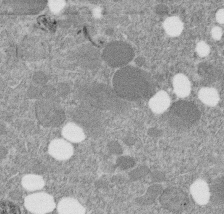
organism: C. elegans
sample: C. elegans embryo early stage